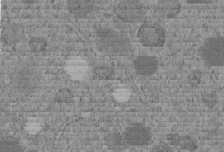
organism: C. elegans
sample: C. elegans embryo early stage